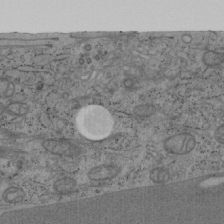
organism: Human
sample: HeLa cells